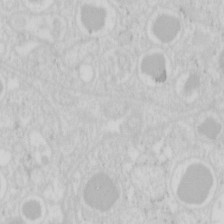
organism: Mouse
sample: Pancreas